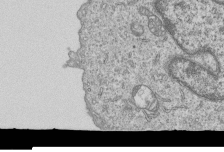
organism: Human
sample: MDA-MB-231 cells